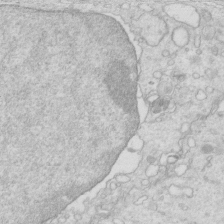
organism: Mouse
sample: Multiciliated cells